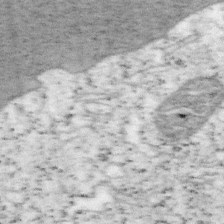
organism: Mouse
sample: OT-I killer T cells with ID8 ovarian cancer cells